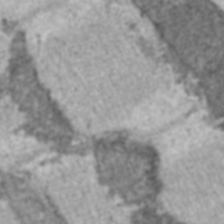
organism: C57BL Mouse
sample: Heart